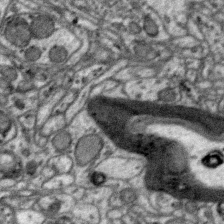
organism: Zebra finch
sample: Brain